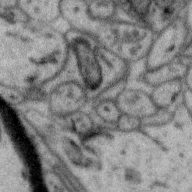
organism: Zebra finch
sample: Brain